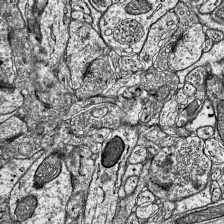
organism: Mouse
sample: Visual Cortex